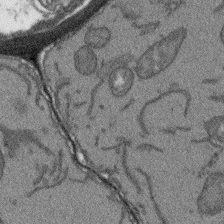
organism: Arabidopsis thaliana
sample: Root tip